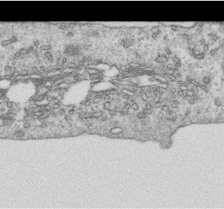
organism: Human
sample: Centriole in RPE cells